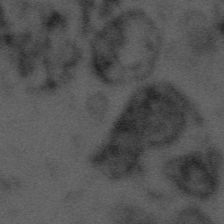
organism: Tuwongella immobilis